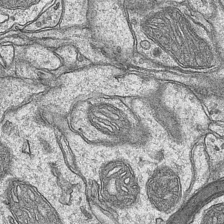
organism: Mouse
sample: CA1 Hippocampus